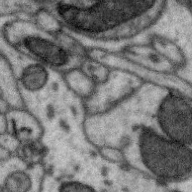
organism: Zebra finch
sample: Brain